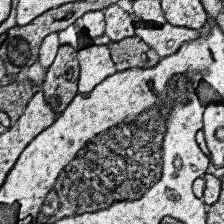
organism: Human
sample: Temporal Lobe